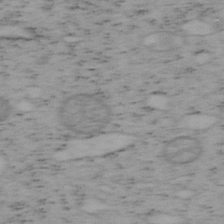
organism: Mouse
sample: OT-I killer T cells with ID8 ovarian cancer cells